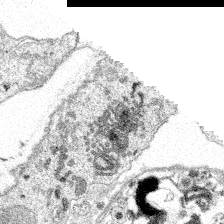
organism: Spongilla lacustris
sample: Multiple